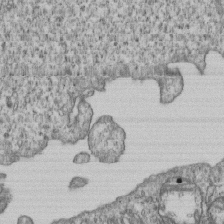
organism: Human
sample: MDA-MB-231 cells